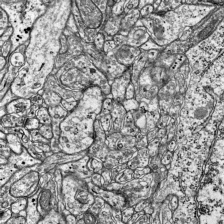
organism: Mouse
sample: Visual Cortex